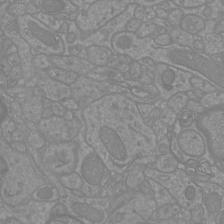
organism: Mouse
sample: Cortical neurons